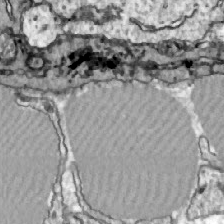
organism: Zebrafish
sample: Actinotrichia fibers